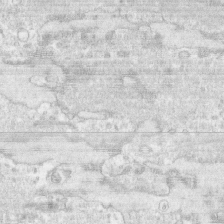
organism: Human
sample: CRL-1474